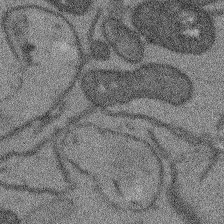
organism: Arabidopsis thaliana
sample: Root tip